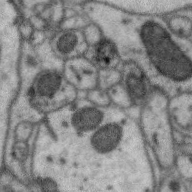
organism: Zebra finch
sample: Brain